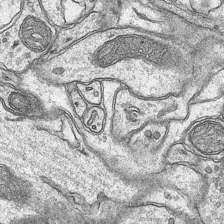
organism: Mouse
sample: CA1 Hippocampus